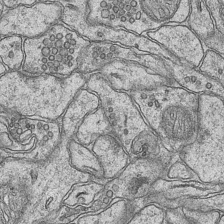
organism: Mouse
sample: CA1 Hippocampus